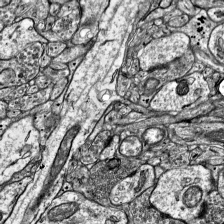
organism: Mouse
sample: Visual Cortex